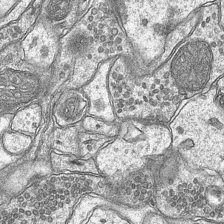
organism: Mouse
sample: CA1 Hippocampus